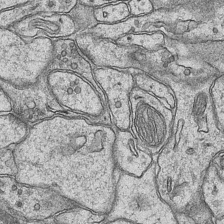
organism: Mouse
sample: CA1 Hippocampus